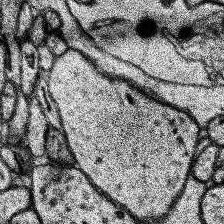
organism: Human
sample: Temporal Lobe